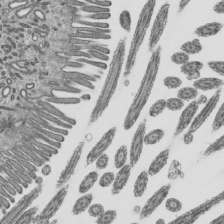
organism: Mouse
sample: Mouse epididymis efferent ductule cilia